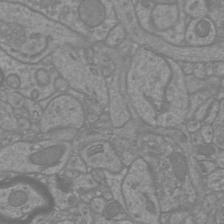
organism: Mouse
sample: Cortical neurons